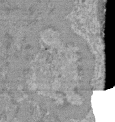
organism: Mouse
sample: Glomerulus